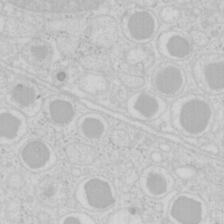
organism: Mouse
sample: Pancreas